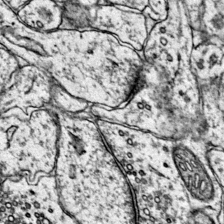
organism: Mouse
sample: Primary visual cortex